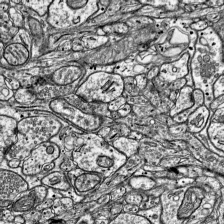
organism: Mouse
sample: Visual Cortex